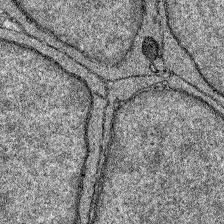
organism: Zebrafish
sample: Larval olfactory bulb